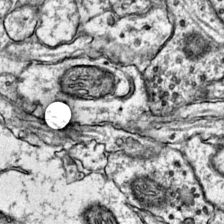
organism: Mouse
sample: Primary visual cortex